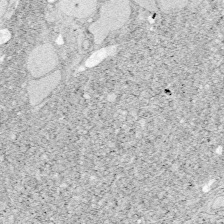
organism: Zebrafish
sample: Whole-Brain